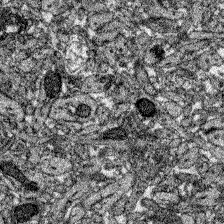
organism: Zebrafish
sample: Larval olfactory bulb